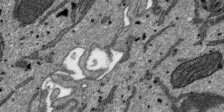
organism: Human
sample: Lung epithelial cells, uninfected (mock) control